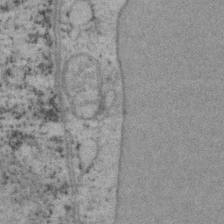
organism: Human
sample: HeLa cells